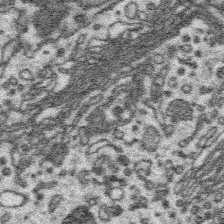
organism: Platynereis dumerilii